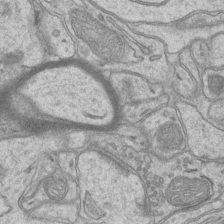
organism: Mouse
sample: CA1 Hippocampus